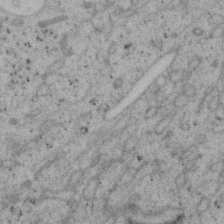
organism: Human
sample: HeLa cells